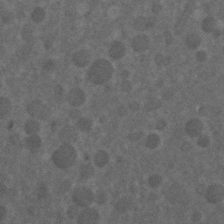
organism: C. elegans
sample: C. elegans embryo